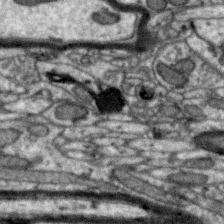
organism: Zebra finch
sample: Brain